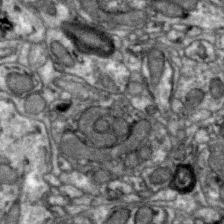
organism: Zebra finch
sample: Brain